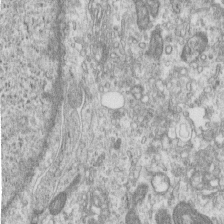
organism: Human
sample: Centriole in RPE cells